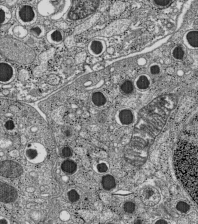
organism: C57BL Mouse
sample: Pancreatic islet